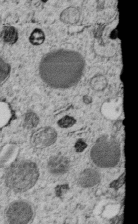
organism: C. elegans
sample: C. elegans embryo early stage